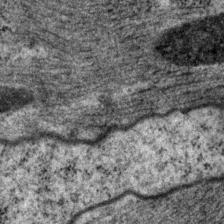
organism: P. pacificus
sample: Pharynx